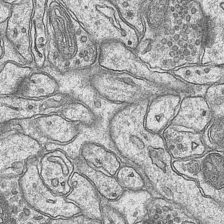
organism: Mouse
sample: CA1 Hippocampus